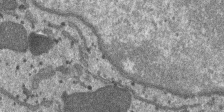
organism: Human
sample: Lung epithelial cells infected with SARS-CoV-2